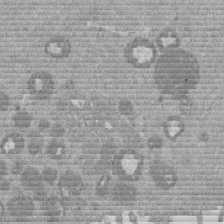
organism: Mouse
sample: Dividing mouse embryo 1 cell stage